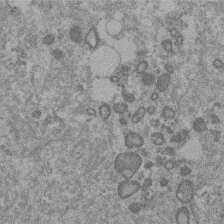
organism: Mouse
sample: Dividing mouse embryo 1 cell stage